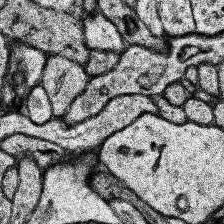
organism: Human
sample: Temporal Lobe